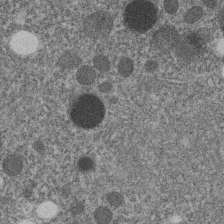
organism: C. elegans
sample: C. elegans embryo early stage